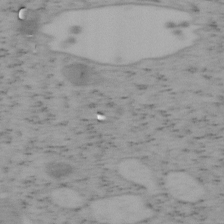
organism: Mouse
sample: OT-I killer T cells with ID8 ovarian cancer cells